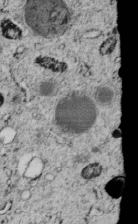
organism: C. elegans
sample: C. elegans embryo early stage